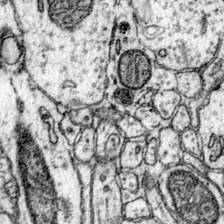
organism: Mouse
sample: Primary visual cortex